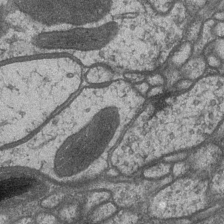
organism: Drosophila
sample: Optic medulla